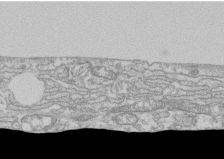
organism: Human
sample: CRL-1474